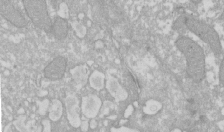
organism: Xenopus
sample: Cilia; centrioles in frog embryo cells